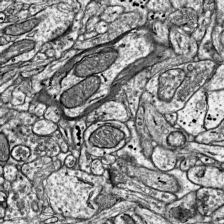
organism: Mouse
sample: Visual Cortex